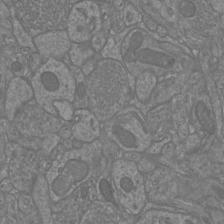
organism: Mouse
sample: Cortical neurons